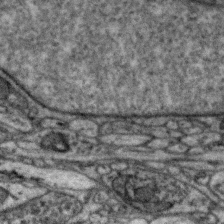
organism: Zebra finch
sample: Brain